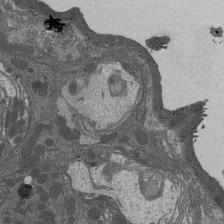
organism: Drosophila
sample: Antenna